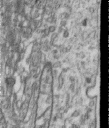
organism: Human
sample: Centriole in RPE cells